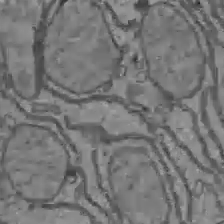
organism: C57BL Mouse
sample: Liver